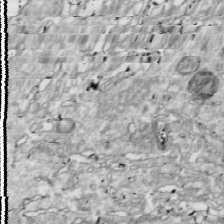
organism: Drosophila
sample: Cell division; meiosis; drosophila spermatocytes